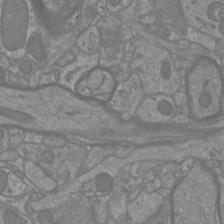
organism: Mouse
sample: Cortical neurons